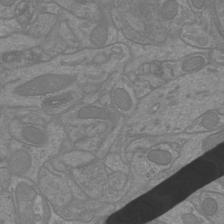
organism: Mouse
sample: Cortical neurons